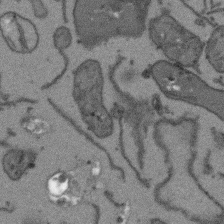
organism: Arabidopsis thaliana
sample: Root tip